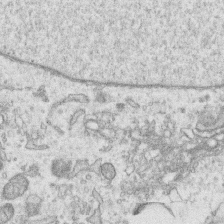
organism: Human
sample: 1205lu cells